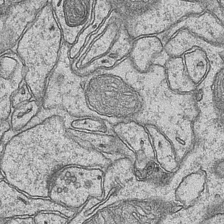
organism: Mouse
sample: CA1 Hippocampus